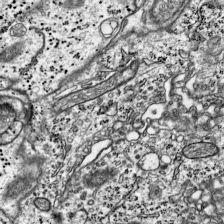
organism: Mouse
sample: Visual Cortex